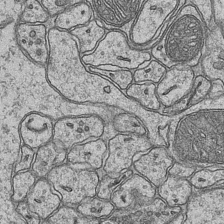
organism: Mouse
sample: CA1 Hippocampus